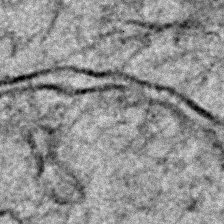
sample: Trachea